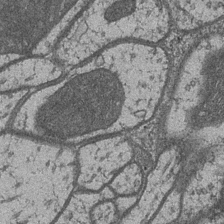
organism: Drosophila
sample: Optic medulla